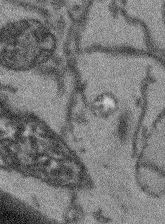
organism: Arabidopsis thaliana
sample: Root tip